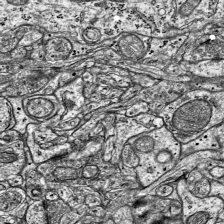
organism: Mouse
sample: Visual Cortex